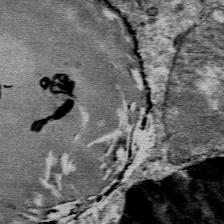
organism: Mouse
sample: Mouse Salivary gland